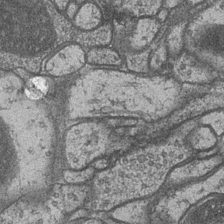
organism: Drosophila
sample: Optic medulla